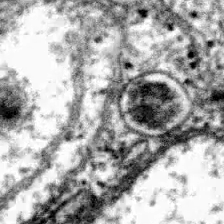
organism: Human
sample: HCT116 cells